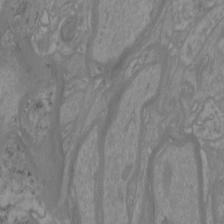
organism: Mouse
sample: Cortical neurons